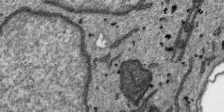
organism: Human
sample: Lung epithelial cells, uninfected (mock) control